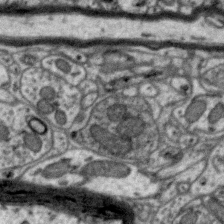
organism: Zebra finch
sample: Brain